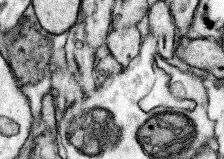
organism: Mouse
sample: Somatosensory cortex neuropil